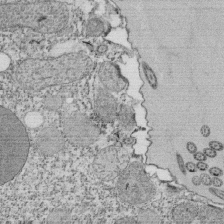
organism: Tetrahymena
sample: Cilia in tetrahymena